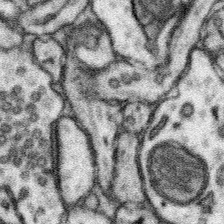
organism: Mouse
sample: Somatosensory cortex neuropil